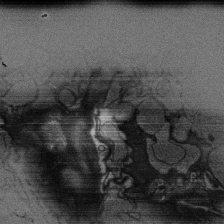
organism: Rat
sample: Salivary granule